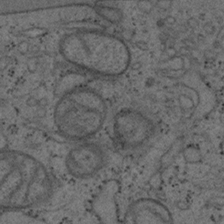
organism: Human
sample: HeLa cells